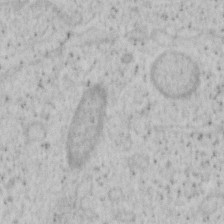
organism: Human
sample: HeLa cells